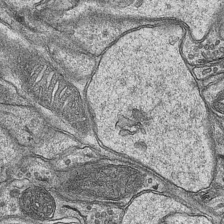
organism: Mouse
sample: CA1 Hippocampus